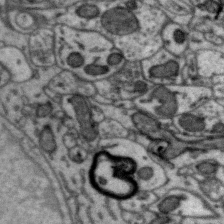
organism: Zebra finch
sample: Brain